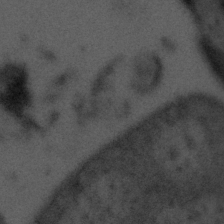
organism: Tuwongella immobilis